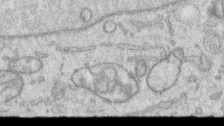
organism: Human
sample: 1205lu cells